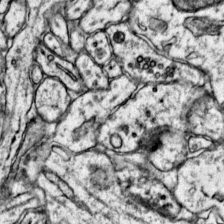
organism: Mouse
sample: Primary visual cortex